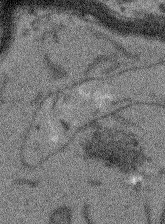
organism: Arabidopsis thaliana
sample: Root tip